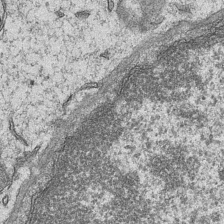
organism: Mouse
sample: CA1 Hippocampus